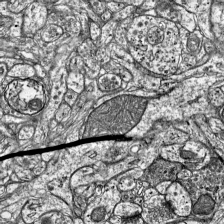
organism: Mouse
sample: Visual Cortex